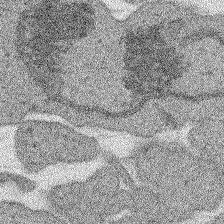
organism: Human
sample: HeLa cells